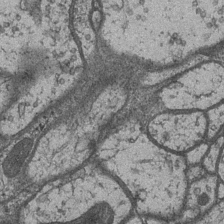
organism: Drosophila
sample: Optic medulla